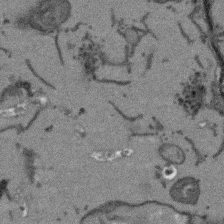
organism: Arabidopsis thaliana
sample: Root tip